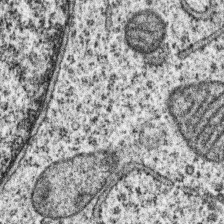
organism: Human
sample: HeLa cells